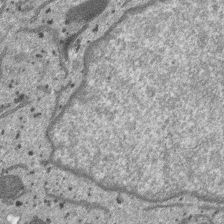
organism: Human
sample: Lung epithelial cells infected with SARS-CoV-2